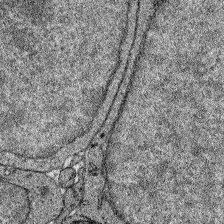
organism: Zebrafish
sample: Larval olfactory bulb